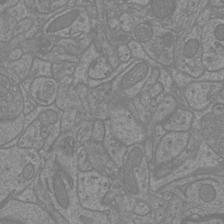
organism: Mouse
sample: Cortical neurons